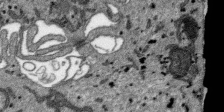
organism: Human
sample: Lung epithelial cells, uninfected (mock) control